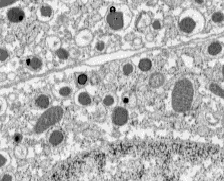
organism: C57BL Mouse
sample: Pancreatic islet